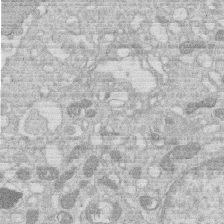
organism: Human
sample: Macrophage cells